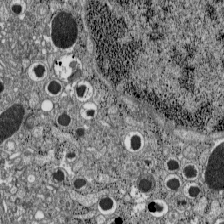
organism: C57BL Mouse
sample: Pancreatic islet